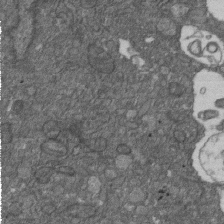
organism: Drosophila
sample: Nephrocyte